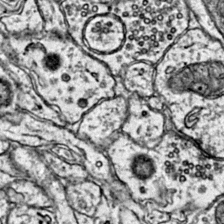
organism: Mouse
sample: Primary visual cortex